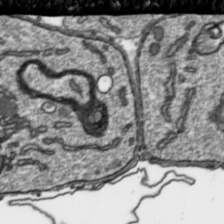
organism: Toxoplasma gondii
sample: Parasites in a vacuole inside a host cell